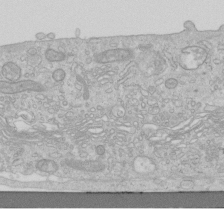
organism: Human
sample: Centriole in RPE cells